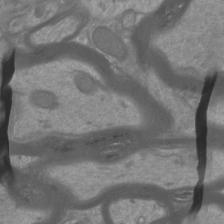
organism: Mouse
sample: Cortical neurons